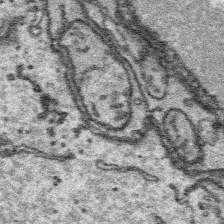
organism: Platynereis dumerilii